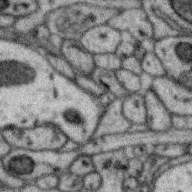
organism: Zebra finch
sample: Brain